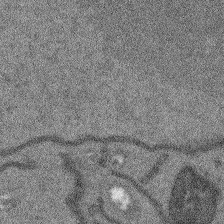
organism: Arabidopsis thaliana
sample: Root tip